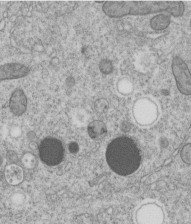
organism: C. elegans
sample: C. elegans embryo early stage